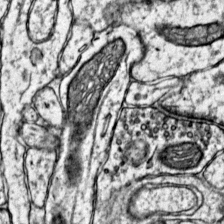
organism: Mouse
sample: Primary visual cortex